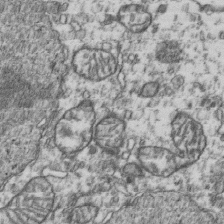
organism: Human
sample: Activated Jurkat CD4+ T cells